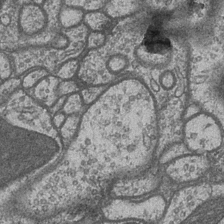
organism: Drosophila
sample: Optic medulla